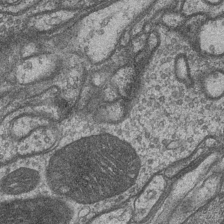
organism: Drosophila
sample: Optic medulla